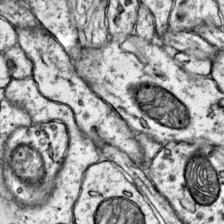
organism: Mouse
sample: Primary visual cortex